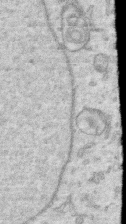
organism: Human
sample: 1205lu cells